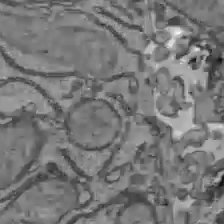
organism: C57BL Mouse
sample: Liver